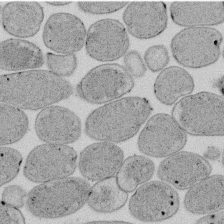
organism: E. coli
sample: Bacterial nucleoid